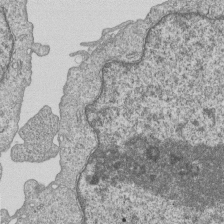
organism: Human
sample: MDA-MB-231 cells